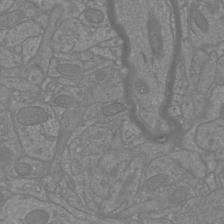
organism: Mouse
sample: Cortical neurons